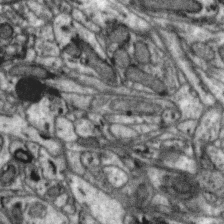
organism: Zebra finch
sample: Brain